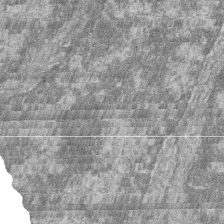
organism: Zebrafish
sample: Cilia; retinal pigment epithelium